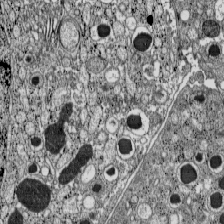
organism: C57BL Mouse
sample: Pancreatic islet